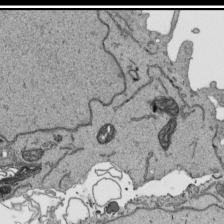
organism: Human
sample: Mitochondria in HCT116 cells